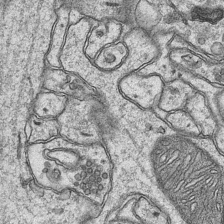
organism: Mouse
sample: CA1 Hippocampus